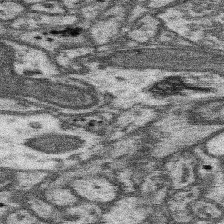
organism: Mouse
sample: Somatosensory cortex neuropil